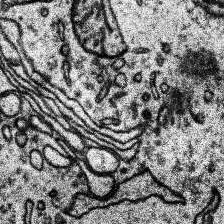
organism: Human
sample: Temporal Lobe